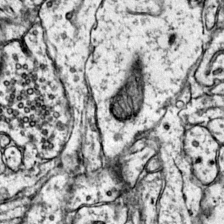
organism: Mouse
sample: Primary visual cortex